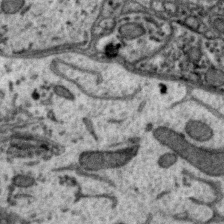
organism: Zebra finch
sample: Brain